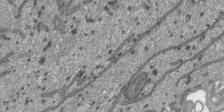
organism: Human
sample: Lung epithelial cells infected with SARS-CoV-2